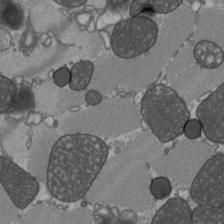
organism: C57BL Mouse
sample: Heart